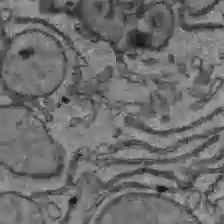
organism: C57BL Mouse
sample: Liver